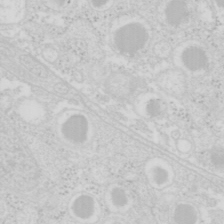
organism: Mouse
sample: Pancreas